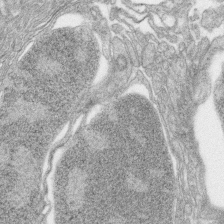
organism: Zebrafish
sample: synaptic ribbons in rod cells and cone cells